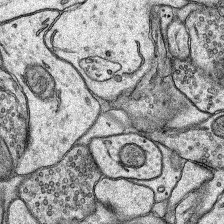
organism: Rat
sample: Hippocampus